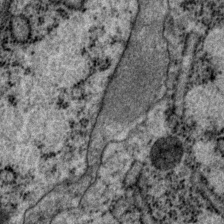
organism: P. pacificus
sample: Pharynx